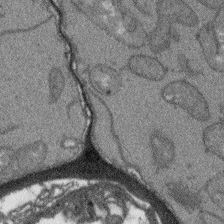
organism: Arabidopsis thaliana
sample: Root tip